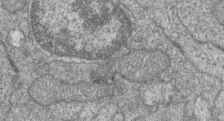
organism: Zebrafish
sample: Cilia; retinal pigment epithelium